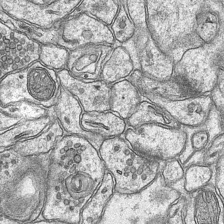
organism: Mouse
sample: CA1 Hippocampus